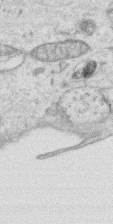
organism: Human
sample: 1205lu cells